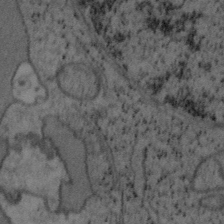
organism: Human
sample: HeLa cells